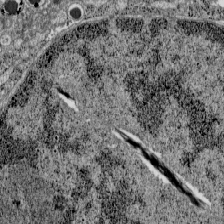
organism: C57BL Mouse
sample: Pancreatic islet